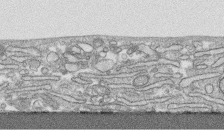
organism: Human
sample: CRL-1474